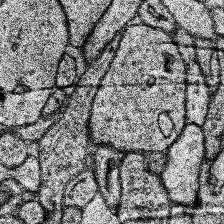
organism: Human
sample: Temporal Lobe